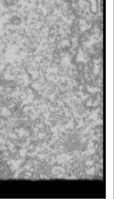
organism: Drosophila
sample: Cell division; meiosis; drosophila spermatocytes